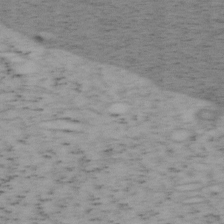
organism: Mouse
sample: OT-I killer T cells with ID8 ovarian cancer cells